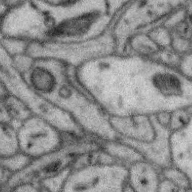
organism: Zebra finch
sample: Brain